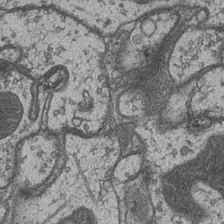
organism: Drosophila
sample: Optic medulla